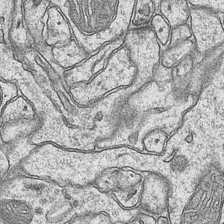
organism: Mouse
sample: CA1 Hippocampus